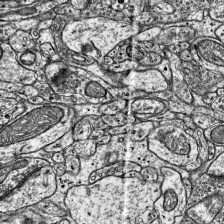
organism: Mouse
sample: Visual Cortex